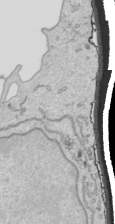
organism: Human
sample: Mitochondria in HCT116 cells